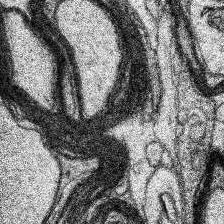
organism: Human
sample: Temporal Lobe